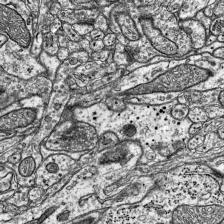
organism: Mouse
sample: Visual Cortex